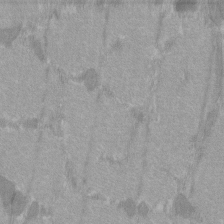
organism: C57BL Mouse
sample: Tibialis anterior muscle cell